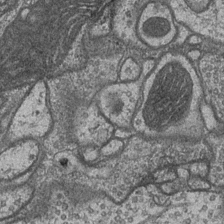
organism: Drosophila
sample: Optic medulla